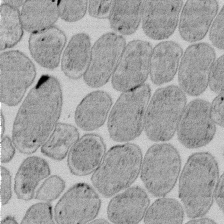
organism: E. coli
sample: Bacterial nucleoid